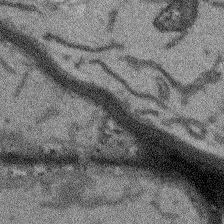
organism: Arabidopsis thaliana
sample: Root tip